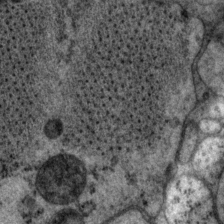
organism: P. pacificus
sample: Pharynx